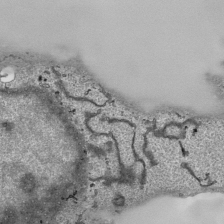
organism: Human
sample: Mitochondria in HCT116 cells